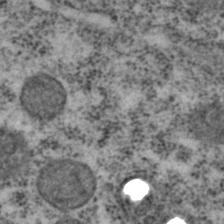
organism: C. elegans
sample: C. elegans embryo